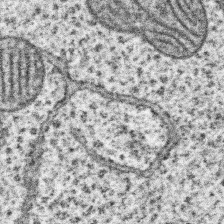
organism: Human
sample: HeLa cells